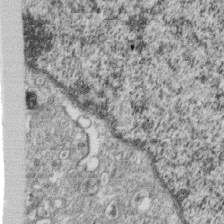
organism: African green monkey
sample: Vero E6 cells infected with SARS-CoV-2